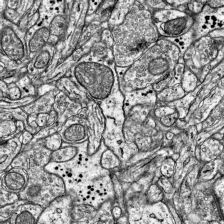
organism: Mouse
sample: Visual Cortex